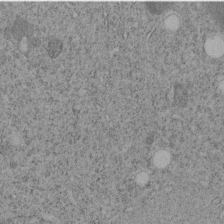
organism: C. elegans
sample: C. elegans embryo early stage